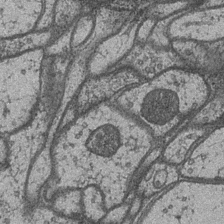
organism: Drosophila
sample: Optic medulla